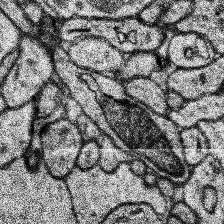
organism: Human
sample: Temporal Lobe